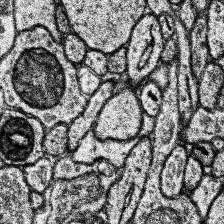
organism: Human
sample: Temporal Lobe